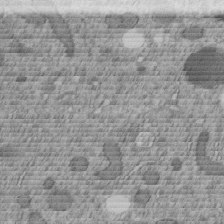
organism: C. elegans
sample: C. elegans embryo early stage